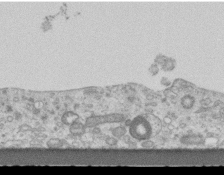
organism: Mouse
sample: Centriole in ependymal cells